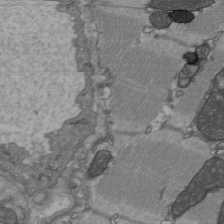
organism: C57BL Mouse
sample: Heart